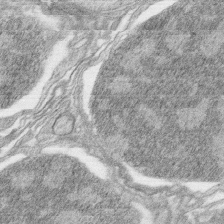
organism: Zebrafish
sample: synaptic ribbons in rod cells and cone cells